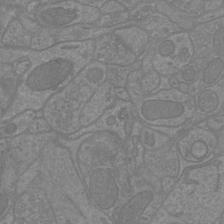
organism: Mouse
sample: Cortical neurons